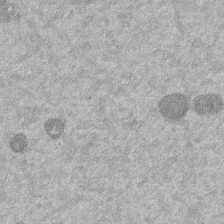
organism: Mouse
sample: Dividing mouse embryo 1 cell stage